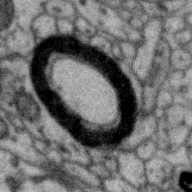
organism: Zebra finch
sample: Brain